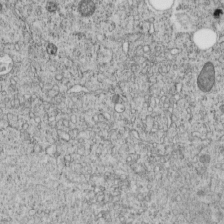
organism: C. elegans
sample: C. elegans embryo early stage